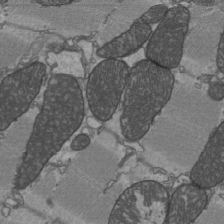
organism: C57BL Mouse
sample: Heart